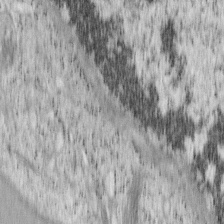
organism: Human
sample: HeLa cells